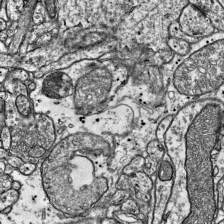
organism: Mouse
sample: Visual Cortex